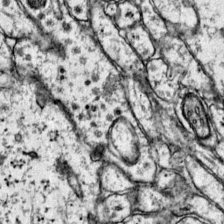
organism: Mouse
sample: Primary visual cortex